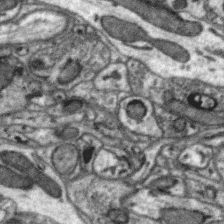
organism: Zebra finch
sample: Brain